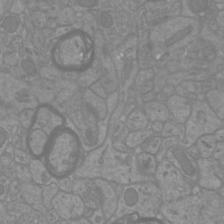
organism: Mouse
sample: Cortical neurons